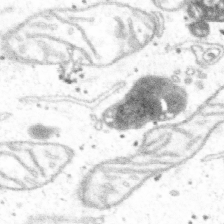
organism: Human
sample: HeLa cells